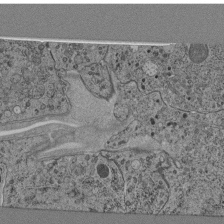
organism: C. elegans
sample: C. elegans pharynx